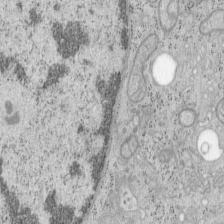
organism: Mouse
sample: OT-I killer T cells with ID8 ovarian cancer cells